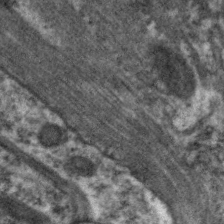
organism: C. elegans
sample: Pharynx